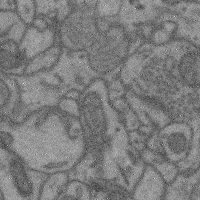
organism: Mouse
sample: Cerebral cortex